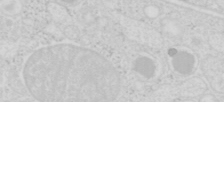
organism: Mouse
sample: Pancreas